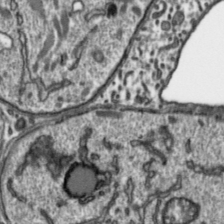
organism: Toxoplasma gondii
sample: Parasites in a vacuole inside a host cell